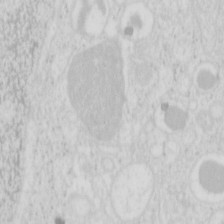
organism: Mouse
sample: Pancreas